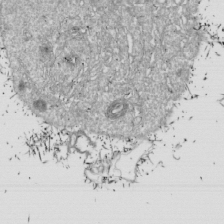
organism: Drosophila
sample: Cell division; meiosis; drosophila spermatocytes